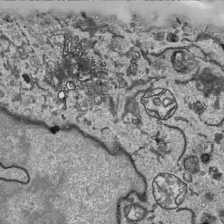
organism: Human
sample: Mitochondria in HCT116 cells